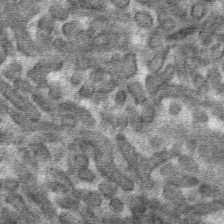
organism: Mouse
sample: Mouse hepatocytes